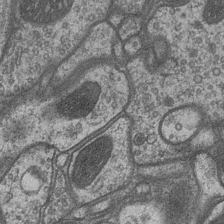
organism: Drosophila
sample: Optic medulla